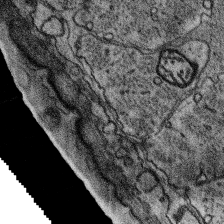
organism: Platynereis dumerilii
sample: Parapodia